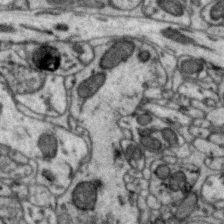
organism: Zebra finch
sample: Brain